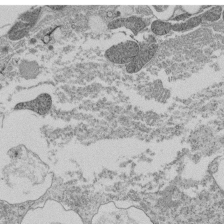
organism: Tetrahymena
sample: Cilia in tetrahymena